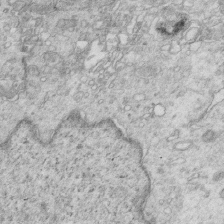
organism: Mouse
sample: Multiciliated cells